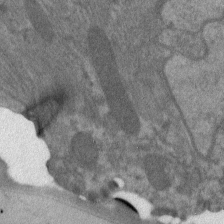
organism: C. elegans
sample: Pharynx